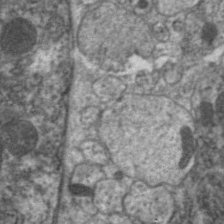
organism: C. elegans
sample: Pharynx